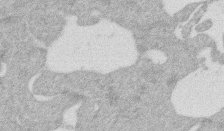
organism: Mouse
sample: Dividing mouse embryo 1 cell stage